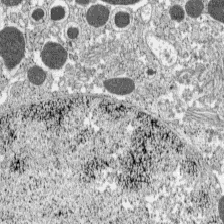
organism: C57BL Mouse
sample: Pancreatic islet